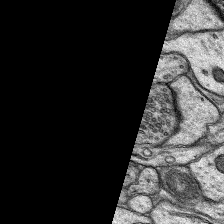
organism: Rat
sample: Hippocampus